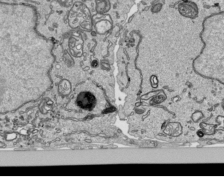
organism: Human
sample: Mitochondria in HCT116 cells